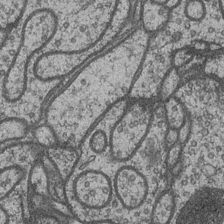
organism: Drosophila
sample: Optic medulla